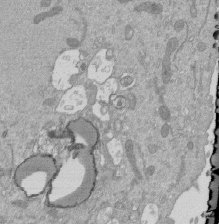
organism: Mouse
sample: ED-1 cell nuclei; centrioles